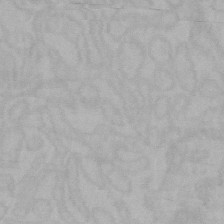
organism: Mouse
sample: Choroid plexus